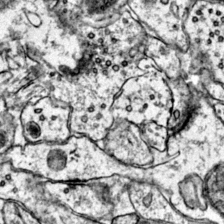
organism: Mouse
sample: Primary visual cortex